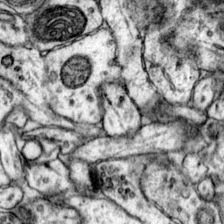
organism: Mouse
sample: Primary visual cortex